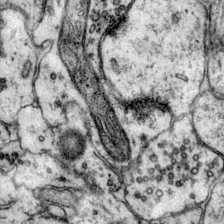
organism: Mouse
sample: Primary visual cortex